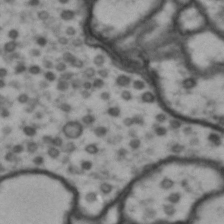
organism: Drosophila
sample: Brain